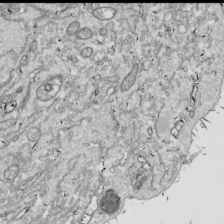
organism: Drosophila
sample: Cell division; meiosis; drosophila spermatocytes